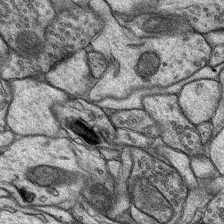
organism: Rat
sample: Hippocampus